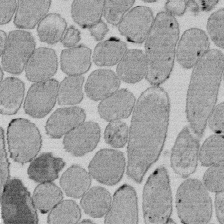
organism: E. coli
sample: Bacterial nucleoid